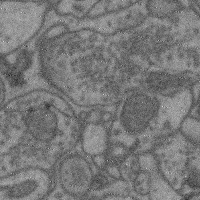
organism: Mouse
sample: Cerebral cortex